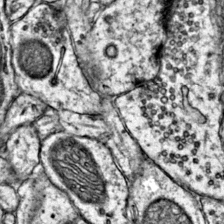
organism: Mouse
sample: Primary visual cortex